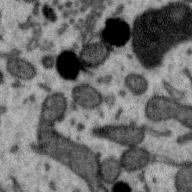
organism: Zebra finch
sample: Brain